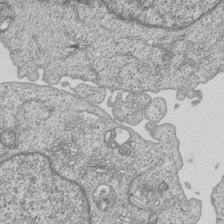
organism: Human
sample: MDA-MB-231 cells